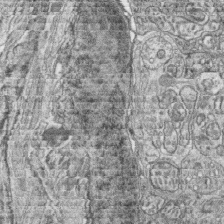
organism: Zebrafish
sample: synaptic ribbons in rod cells and cone cells